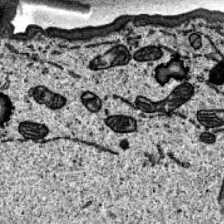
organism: Human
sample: HeLa cells